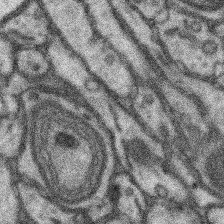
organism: Mouse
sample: Somatosensory cortex neuropil